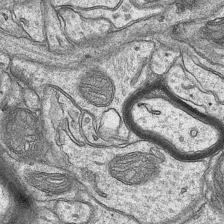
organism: Mouse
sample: CA1 Hippocampus